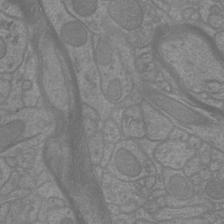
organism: Mouse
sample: Cortical neurons